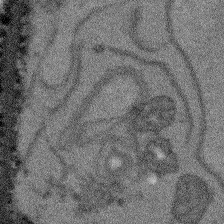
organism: Arabidopsis thaliana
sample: Root tip